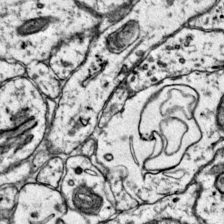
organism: Mouse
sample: Primary visual cortex